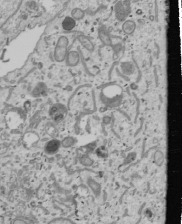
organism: Human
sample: Mitochondria in U2OS cells